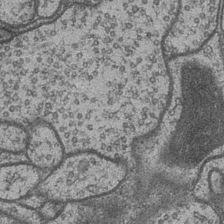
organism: Drosophila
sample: Optic medulla